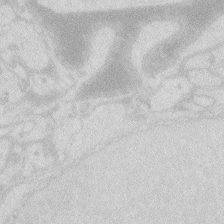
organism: Zebrafish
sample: Macrophage